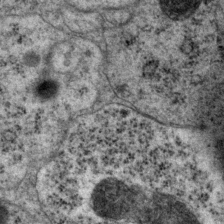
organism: P. pacificus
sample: Pharynx